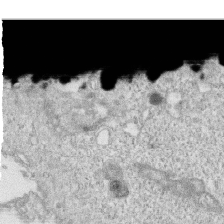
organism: Human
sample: HeLa cell HIV synapse